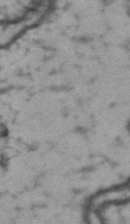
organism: Drosophila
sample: Brain